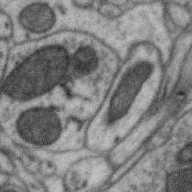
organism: Zebra finch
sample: Brain